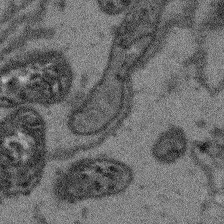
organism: Arabidopsis thaliana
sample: Root tip